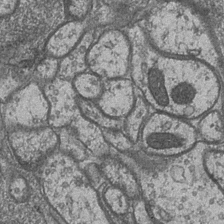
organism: Drosophila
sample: Optic medulla